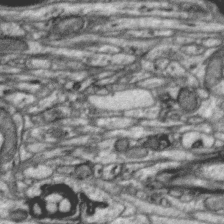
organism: Zebra finch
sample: Brain